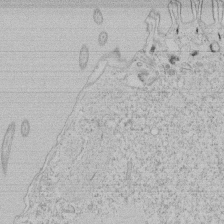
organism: Tetrahymena